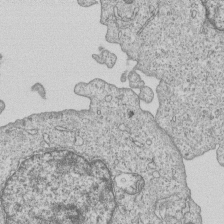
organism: Human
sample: MDA-MB-231 cells